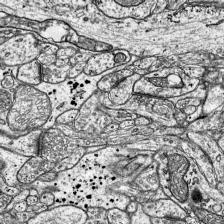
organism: Mouse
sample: Visual Cortex